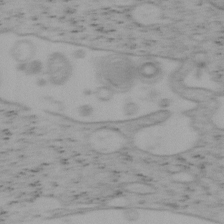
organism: Mouse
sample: OT-I killer T cells with ID8 ovarian cancer cells